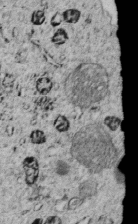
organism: C. elegans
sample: C. elegans embryo early stage